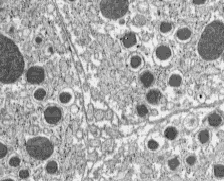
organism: C57BL Mouse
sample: Pancreatic islet